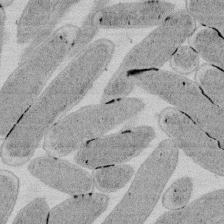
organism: E. coli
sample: Bacterial nucleoid